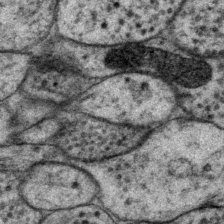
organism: P. pacificus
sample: Pharynx